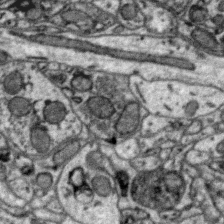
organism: Zebra finch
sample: Brain